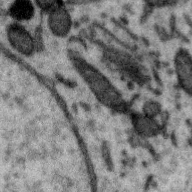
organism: Zebra finch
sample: Brain